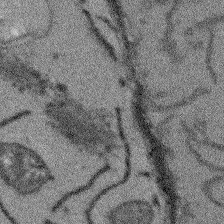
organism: Arabidopsis thaliana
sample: Root tip